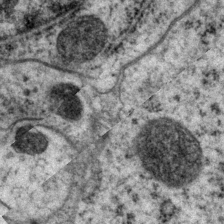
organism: P. pacificus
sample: Pharynx